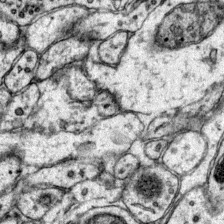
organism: Mouse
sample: Primary visual cortex